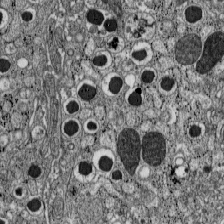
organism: C57BL Mouse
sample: Pancreatic islet